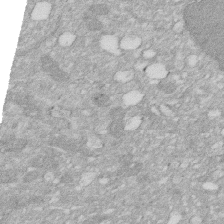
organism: Human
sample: HIV infected U937 cells